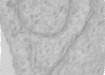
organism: Human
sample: Centriole in RPE cells